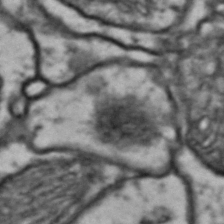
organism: Drosophila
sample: Brain